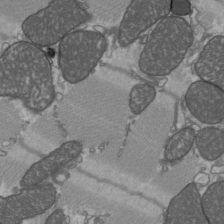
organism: C57BL Mouse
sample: Heart